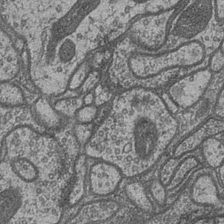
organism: Drosophila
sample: Optic medulla